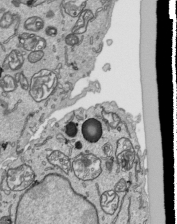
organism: Human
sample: Mitochondria in HCT116 cells